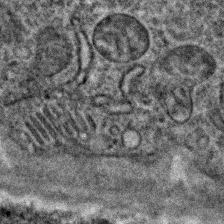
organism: C. elegans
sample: C. elegans embryo